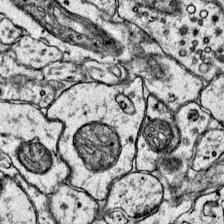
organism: Mouse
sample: Primary visual cortex